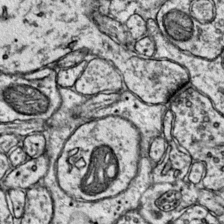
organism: Mouse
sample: Primary visual cortex